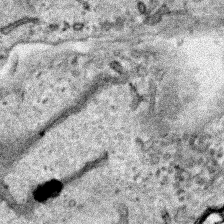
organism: Human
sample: Mitochondria in HCT116 cells